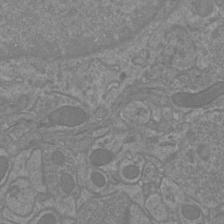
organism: Mouse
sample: Cortical neurons